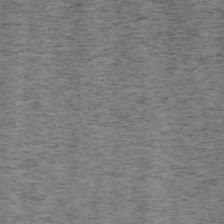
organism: Mouse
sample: OT-I killer T cells with ID8 ovarian cancer cells